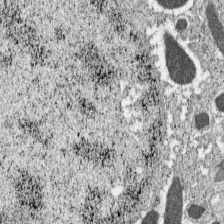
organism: C57BL Mouse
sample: Pancreatic islet